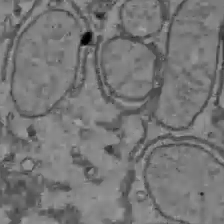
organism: C57BL Mouse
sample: Liver